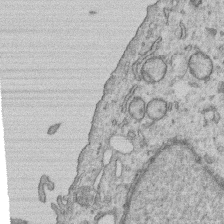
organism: Human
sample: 1205lu cells